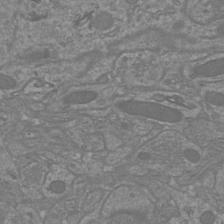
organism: Mouse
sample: Cortical neurons